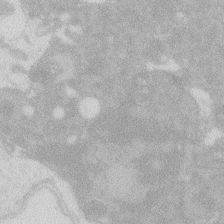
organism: Zebrafish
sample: Macrophage